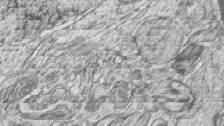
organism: Zebrafish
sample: synaptic ribbons in rod cells and cone cells